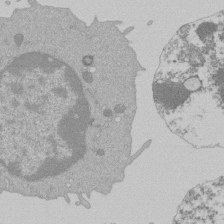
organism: Mouse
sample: Activated Pmel transgenic CD8+ T Cells